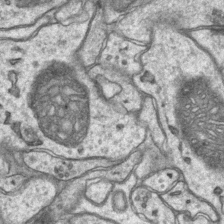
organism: Mouse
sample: CA1 Hippocampus